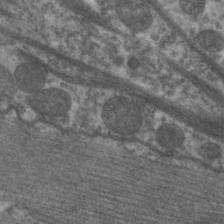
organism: C. elegans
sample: Pharynx